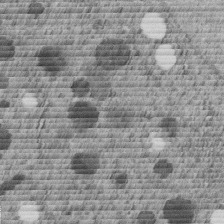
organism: C. elegans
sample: C. elegans embryo early stage